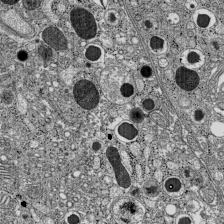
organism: C57BL Mouse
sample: Pancreatic islet